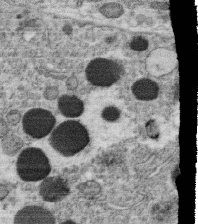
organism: C. elegans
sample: C. elegans oocyte; sperm cells